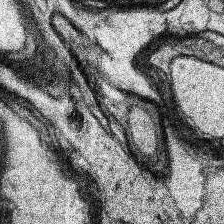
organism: Human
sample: Temporal Lobe